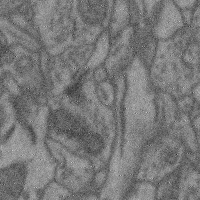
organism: Mouse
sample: Cerebral cortex